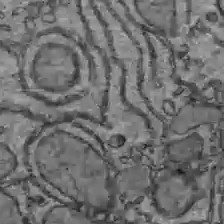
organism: C57BL Mouse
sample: Liver